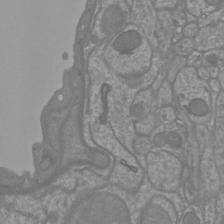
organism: Mouse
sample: Cortical neurons